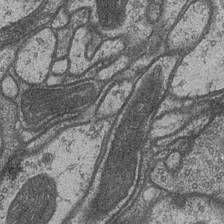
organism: Drosophila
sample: Optic medulla